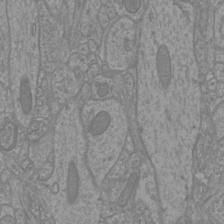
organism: Mouse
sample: Cortical neurons